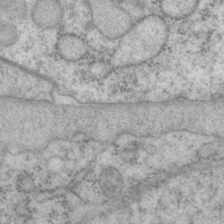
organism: P. pacificus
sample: Pharynx